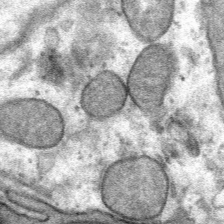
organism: Mouse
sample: Mouse Salivary gland